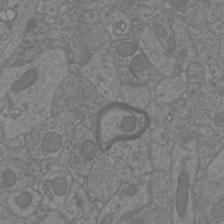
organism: Mouse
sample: Cortical neurons